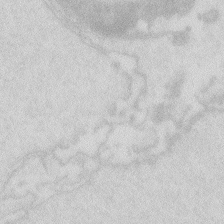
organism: Zebrafish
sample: Macrophage